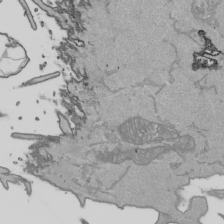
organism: Human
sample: Mitochondria in HCT116 cells